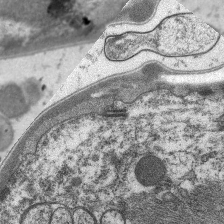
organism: C. elegans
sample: Pharynx